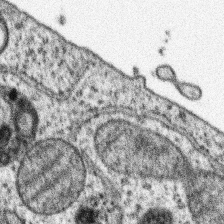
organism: Human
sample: HeLa cells